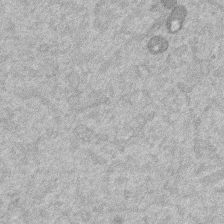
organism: Mouse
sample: Dividing mouse embryo 1 cell stage